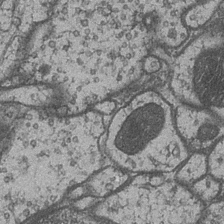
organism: Drosophila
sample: Optic medulla